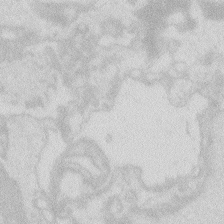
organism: Zebrafish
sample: Macrophage